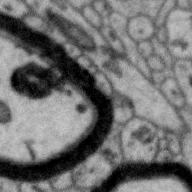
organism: Zebra finch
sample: Brain